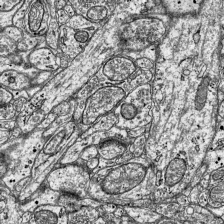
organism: Mouse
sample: Visual Cortex